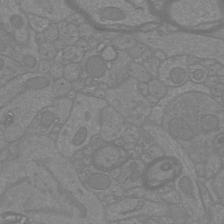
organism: Mouse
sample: Cortical neurons